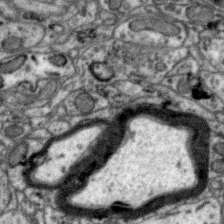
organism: Zebra finch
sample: Brain